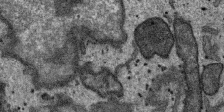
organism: Human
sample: Lung epithelial cells, uninfected (mock) control